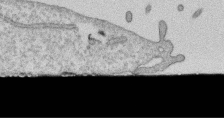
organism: Human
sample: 1205lu cells